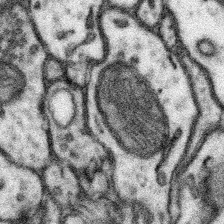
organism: Mouse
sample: Somatosensory cortex neuropil